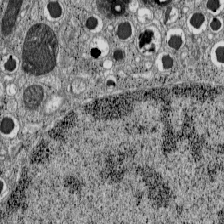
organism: C57BL Mouse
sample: Pancreatic islet